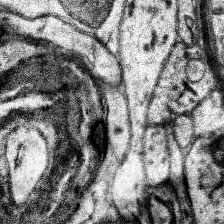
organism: Human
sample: Temporal Lobe